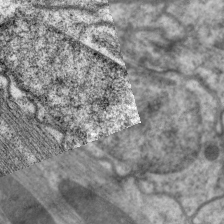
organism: C. elegans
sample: Pharynx